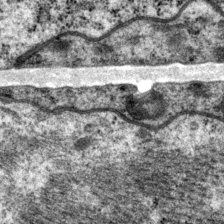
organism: P. pacificus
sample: Pharynx